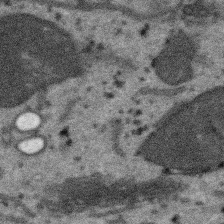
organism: Human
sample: Lung epithelial cells infected with SARS-CoV-2